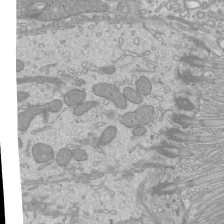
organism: Mouse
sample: Cilia; mouse epididymis